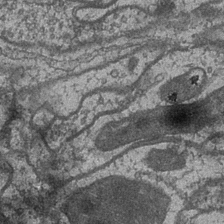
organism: Drosophila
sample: Optic medulla